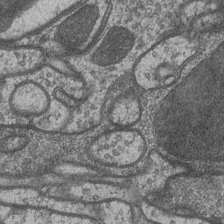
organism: Drosophila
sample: Optic medulla